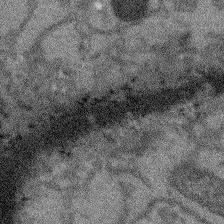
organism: Arabidopsis thaliana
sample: Root tip